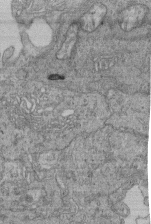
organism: Human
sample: Retinal organoid Rod and Cone cells